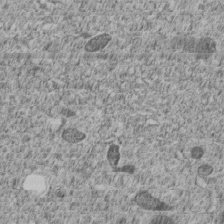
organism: C. elegans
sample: C. elegans embryo early stage